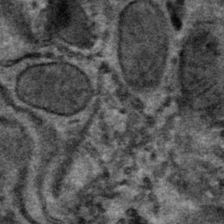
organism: Mouse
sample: Mouse hepatocytes